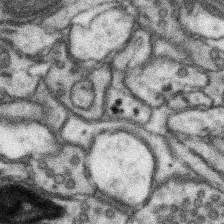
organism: Mouse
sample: Somatosensory cortex neuropil